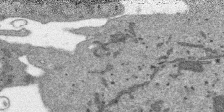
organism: Human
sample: Lung epithelial cells infected with SARS-CoV-2